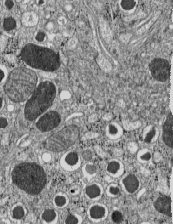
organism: C57BL Mouse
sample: Pancreatic islet